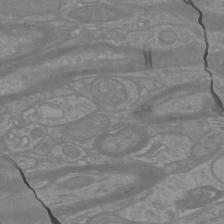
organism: Mouse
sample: Cortical neurons